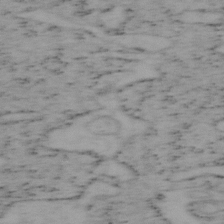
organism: Mouse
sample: OT-I killer T cells with ID8 ovarian cancer cells